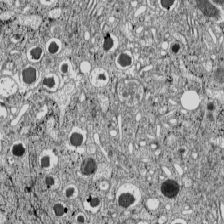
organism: C57BL Mouse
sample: Pancreatic islet